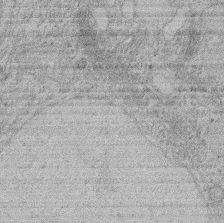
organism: Rat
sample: Salivary granule